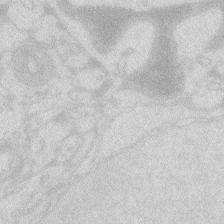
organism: Zebrafish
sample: Macrophage